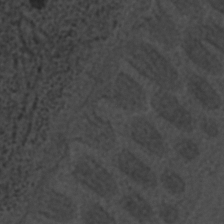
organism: C. elegans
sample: C. elegans embryo